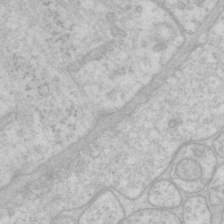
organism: P. pacificus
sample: Pharynx